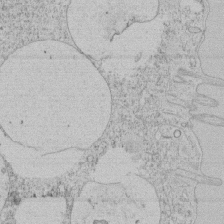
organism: Tetrahymena